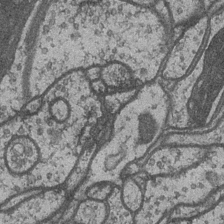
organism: Drosophila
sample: Optic medulla